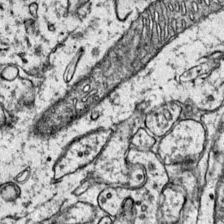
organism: Mouse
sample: Primary visual cortex